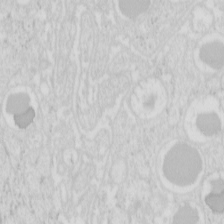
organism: Mouse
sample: Pancreas